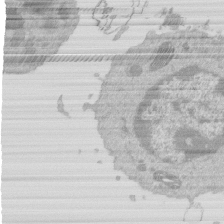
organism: Mouse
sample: Activated Pmel transgenic CD8+ T Cells